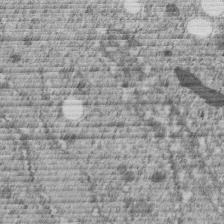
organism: C. elegans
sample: C. elegans embryo early stage